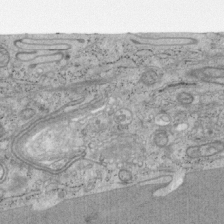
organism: Human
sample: HeLa cells